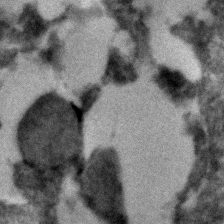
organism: C. elegans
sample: C. elegans embryo